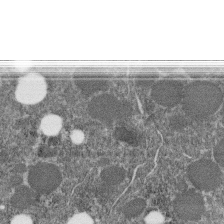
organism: C. elegans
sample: C. elegans embryo early stage